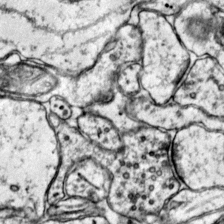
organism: Mouse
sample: Primary visual cortex